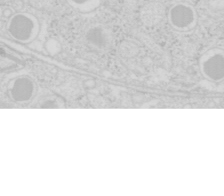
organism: Mouse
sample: Pancreas